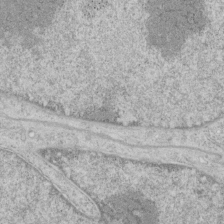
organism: Human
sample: Mitochondria in HCT116 cells